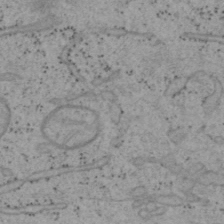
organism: Human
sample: HeLa cells